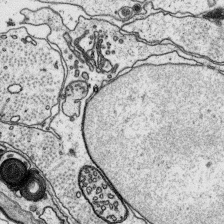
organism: Platynereis dumerilii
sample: Parapodia